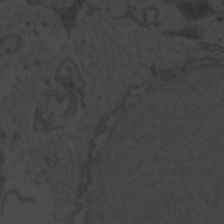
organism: Zebrafish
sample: Macrophage infected with Toxoplasma gondii